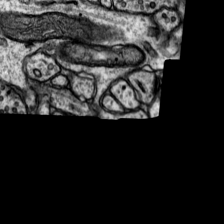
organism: Rat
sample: Hippocampus